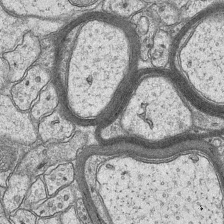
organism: Mouse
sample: CA1 Hippocampus